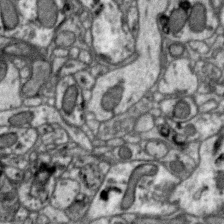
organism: Zebra finch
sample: Brain